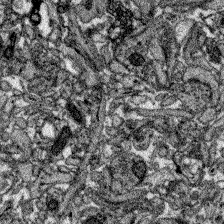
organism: Zebrafish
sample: Larval olfactory bulb